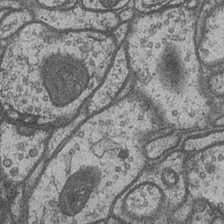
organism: Drosophila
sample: Optic medulla